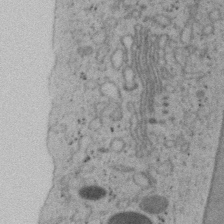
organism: Human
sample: HeLa cells